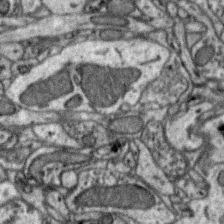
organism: Zebra finch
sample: Brain